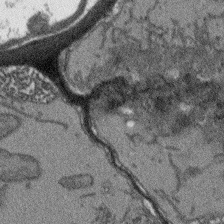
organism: Arabidopsis thaliana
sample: Root tip